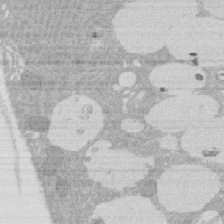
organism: Rat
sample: Salivary granule